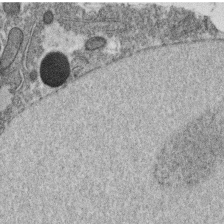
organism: C. elegans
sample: C. elegans oocyte; sperm cells